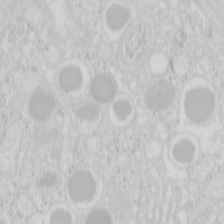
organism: Mouse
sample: Pancreas